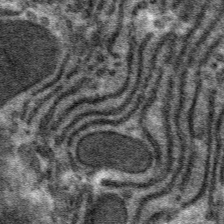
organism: Mouse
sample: Mouse hepatocytes